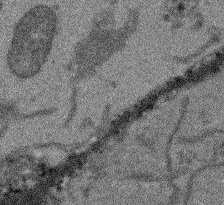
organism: Arabidopsis thaliana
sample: Root tip